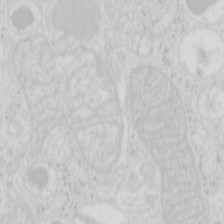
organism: Mouse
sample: Pancreas